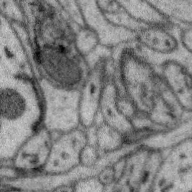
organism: Zebra finch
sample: Brain